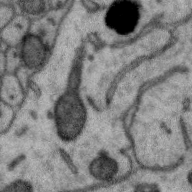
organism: Zebra finch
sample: Brain